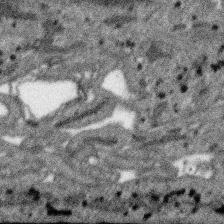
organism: Human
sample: Lung epithelial cells infected with SARS-CoV-2